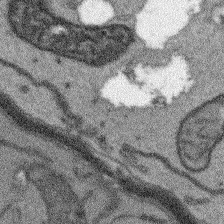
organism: Arabidopsis thaliana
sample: Root tip